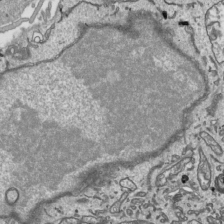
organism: Human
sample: Mitochondria in HCT116 cells